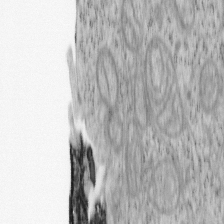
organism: Human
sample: HeLa cells